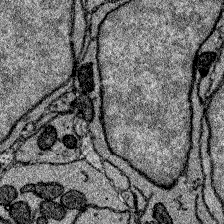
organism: Zebrafish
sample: Larval olfactory bulb